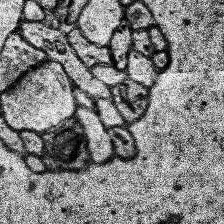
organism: Human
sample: Temporal Lobe